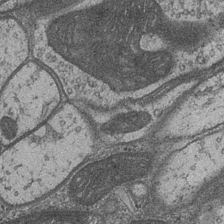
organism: Drosophila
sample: Optic medulla